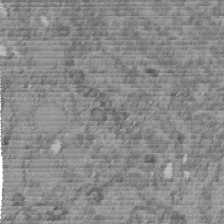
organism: C. elegans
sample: C. elegans embryo early stage